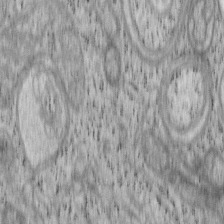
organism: Human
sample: HeLa cells